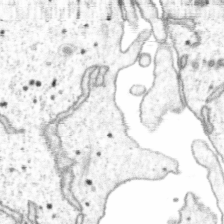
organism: Human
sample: HeLa cells